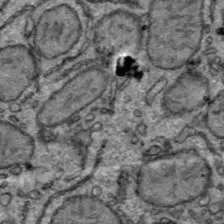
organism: C57BL Mouse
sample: Liver